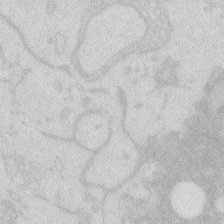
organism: Zebrafish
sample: Macrophage